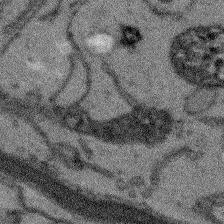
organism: Arabidopsis thaliana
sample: Root tip